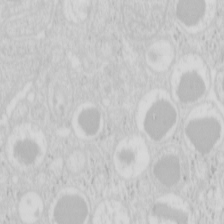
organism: Mouse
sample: Pancreas